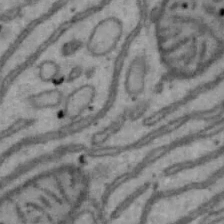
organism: Mouse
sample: Liver